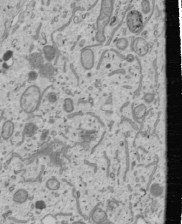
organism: Human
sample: Mitochondria in U2OS cells